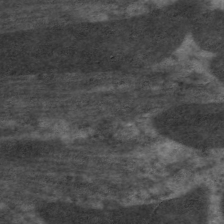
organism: C. elegans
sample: Pharynx